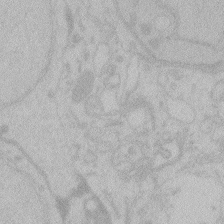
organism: Zebrafish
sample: Macrophage infected with Toxoplasma gondii